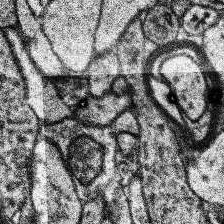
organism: Human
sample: Temporal Lobe